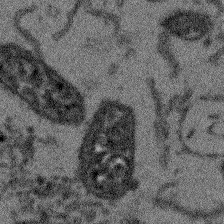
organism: Arabidopsis thaliana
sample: Root tip